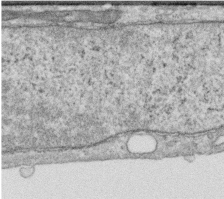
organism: Human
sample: Centriole in RPE cells